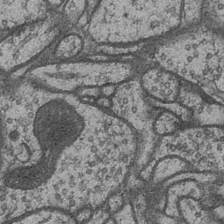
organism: Drosophila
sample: Optic medulla